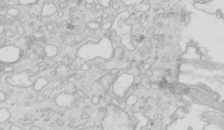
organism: Mouse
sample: Multiciliated cells